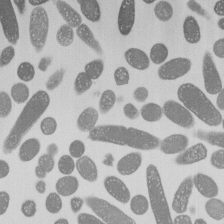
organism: E. coli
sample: Bacterial nucleoid